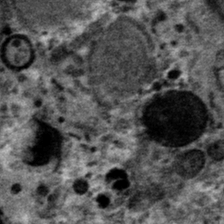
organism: Mouse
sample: Mouse hepatocytes